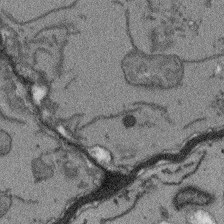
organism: Arabidopsis thaliana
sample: Root tip